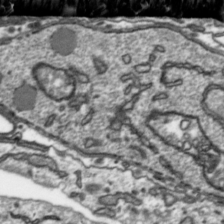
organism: Toxoplasma gondii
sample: Parasites in a vacuole inside a host cell